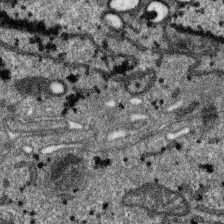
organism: Human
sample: Lung epithelial cells infected with SARS-CoV-2